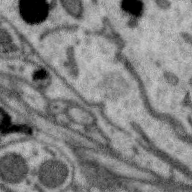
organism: Zebra finch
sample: Brain